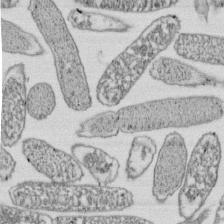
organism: E. coli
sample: Bacterial nucleoid